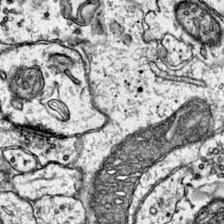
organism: Mouse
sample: Primary visual cortex